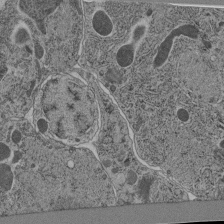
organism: C. elegans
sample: C. elegans pharynx